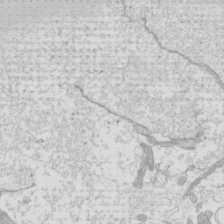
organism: Mouse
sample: Cilia; mouse epididymis